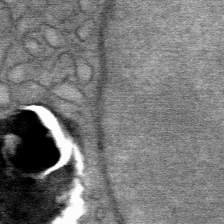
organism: Mouse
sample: Mouse Salivary gland